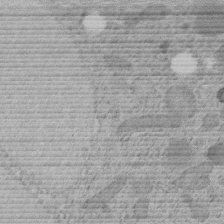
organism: C. elegans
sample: C. elegans embryo early stage